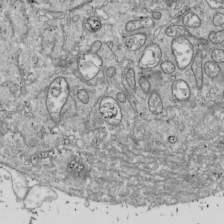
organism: Drosophila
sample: Cell division; meiosis; drosophila spermatocytes